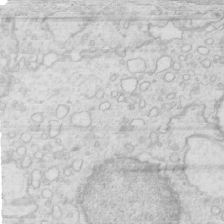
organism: Mouse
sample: Multiciliated cells